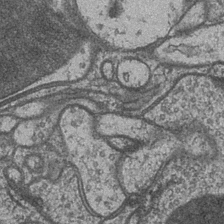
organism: Drosophila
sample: Optic medulla